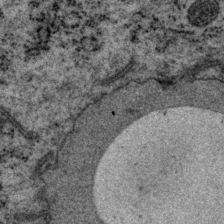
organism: P. pacificus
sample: Pharynx